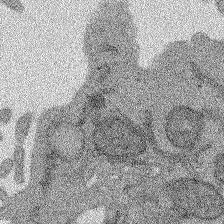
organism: Human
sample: HeLa cells